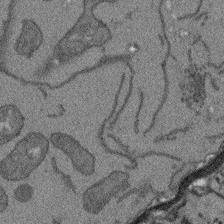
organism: Arabidopsis thaliana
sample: Root tip